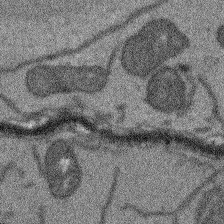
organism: Arabidopsis thaliana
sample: Root tip